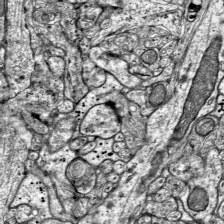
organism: Mouse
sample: Visual Cortex